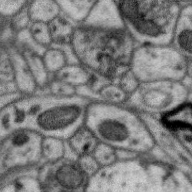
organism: Zebra finch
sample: Brain